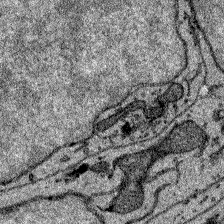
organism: Zebrafish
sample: Larval olfactory bulb